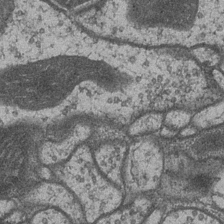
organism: Drosophila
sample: Optic medulla